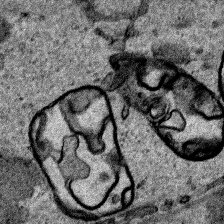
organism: Human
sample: Mitochondria in HCT116 cells